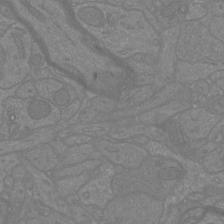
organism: Mouse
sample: Cortical neurons